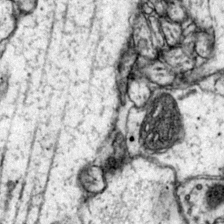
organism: Mouse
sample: Primary visual cortex